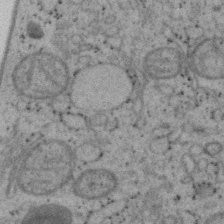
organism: Human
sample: HeLa cells